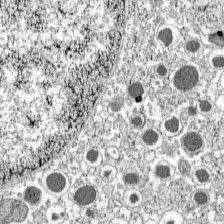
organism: C57BL Mouse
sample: Pancreatic islet